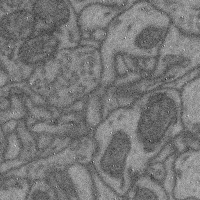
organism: Mouse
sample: Cerebral cortex